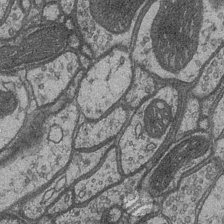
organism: Drosophila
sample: Optic medulla